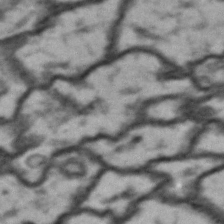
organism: Drosophila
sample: Brain